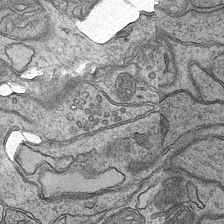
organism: Mouse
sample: CA1 Hippocampus